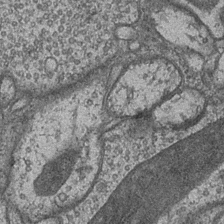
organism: Drosophila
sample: Optic medulla